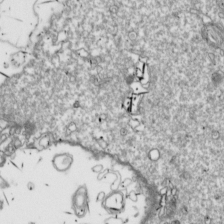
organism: Drosophila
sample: Cell division; meiosis; drosophila spermatocytes